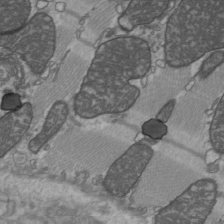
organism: C57BL Mouse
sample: Heart